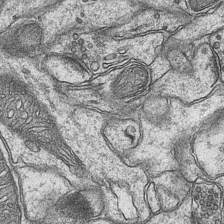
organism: Mouse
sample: CA1 Hippocampus